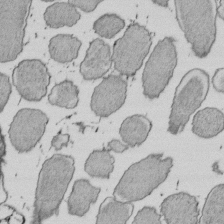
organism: E. coli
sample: Bacterial nucleoid